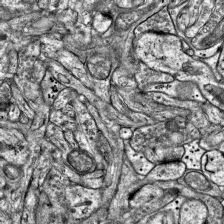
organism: Mouse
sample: Visual Cortex